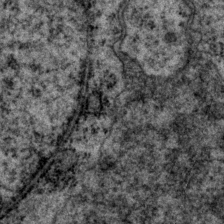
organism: P. pacificus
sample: Pharynx